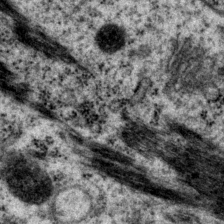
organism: P. pacificus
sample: Pharynx